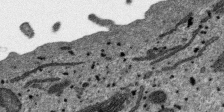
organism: Human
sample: Lung epithelial cells, uninfected (mock) control